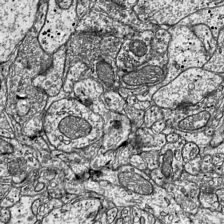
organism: Mouse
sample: Visual Cortex